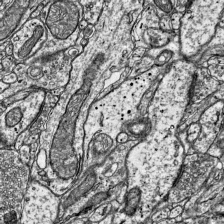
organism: Mouse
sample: Visual Cortex